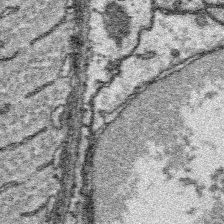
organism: Platynereis dumerilii